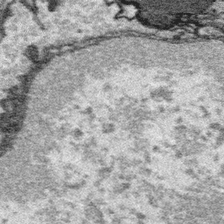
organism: Platynereis dumerilii